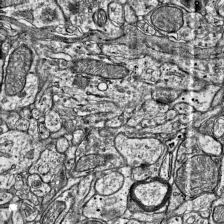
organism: Mouse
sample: Visual Cortex